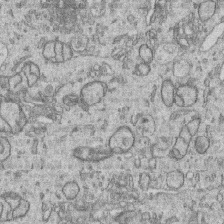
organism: Human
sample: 1205lu cells